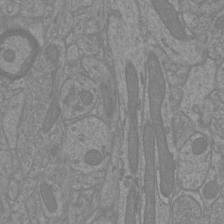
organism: Mouse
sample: Cortical neurons